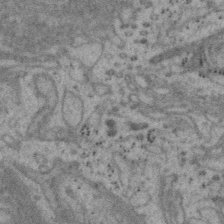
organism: Human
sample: HeLa cells